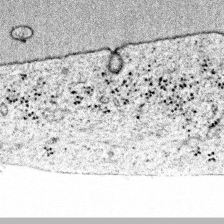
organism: Human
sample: HeLa cells